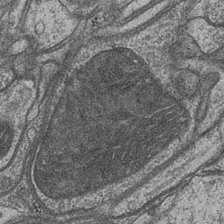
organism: Drosophila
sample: Optic medulla